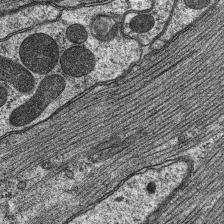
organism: C. elegans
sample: Pharynx